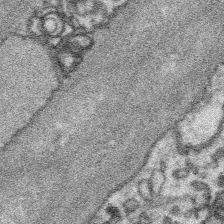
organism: Platynereis dumerilii